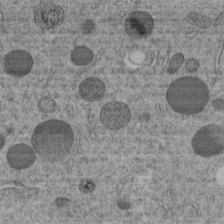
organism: C. elegans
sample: C. elegans embryo early stage